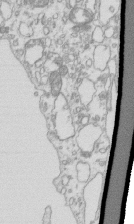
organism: Mouse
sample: Macrophages